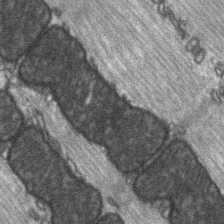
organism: C57BL Mouse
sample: Soleus